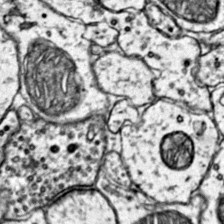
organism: Mouse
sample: Primary visual cortex